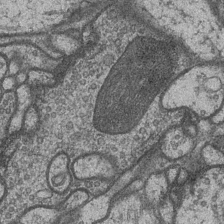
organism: Drosophila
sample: Optic medulla